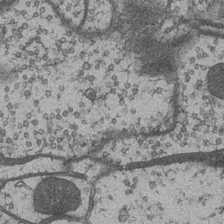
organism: Drosophila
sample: Optic medulla